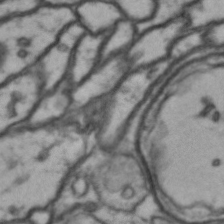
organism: Drosophila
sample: Brain